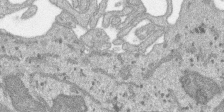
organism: Human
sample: Lung epithelial cells infected with SARS-CoV-2